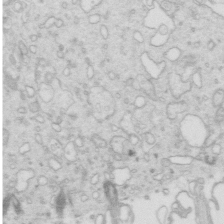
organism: Mouse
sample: Multiciliated cells